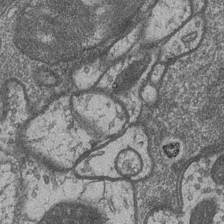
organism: Drosophila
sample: Optic medulla